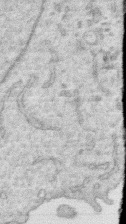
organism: Human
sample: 1205lu cells